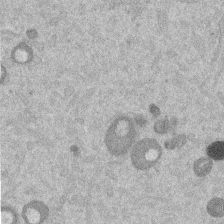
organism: Mouse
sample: Dividing mouse embryo 1 cell stage